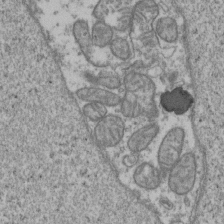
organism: Human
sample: Activated Jurkat CD4+ T cells